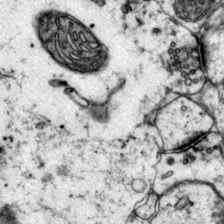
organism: Mouse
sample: Primary visual cortex